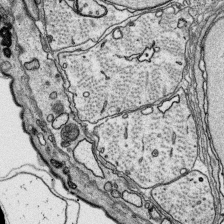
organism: Platynereis dumerilii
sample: Parapodia